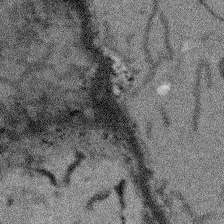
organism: Arabidopsis thaliana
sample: Root tip